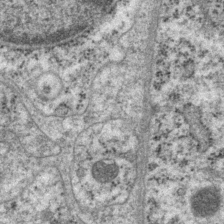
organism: P. pacificus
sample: Pharynx